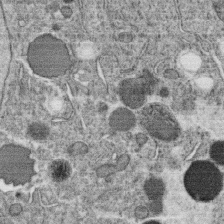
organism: C. elegans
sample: C. elegans oocyte; sperm cells